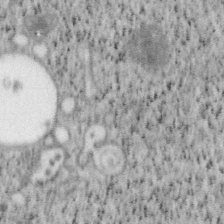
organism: Mouse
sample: OT-I killer T cells with ID8 ovarian cancer cells